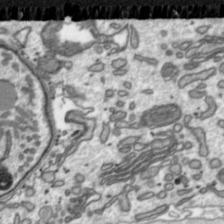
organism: Toxoplasma gondii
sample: Parasites in a vacuole inside a host cell